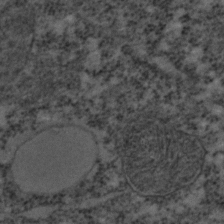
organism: C. elegans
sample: C. elegans embryo